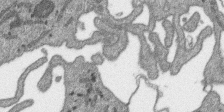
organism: Human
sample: Lung epithelial cells infected with SARS-CoV-2